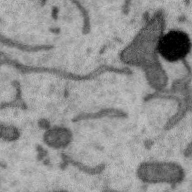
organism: Zebra finch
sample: Brain